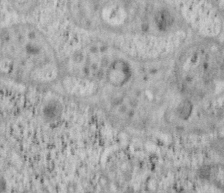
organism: Mouse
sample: OT-I killer T cells with ID8 ovarian cancer cells